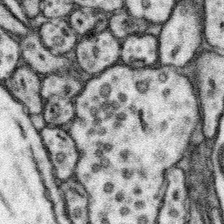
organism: Mouse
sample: Somatosensory cortex neuropil